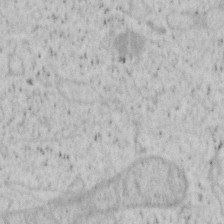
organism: Human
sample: HeLa cells